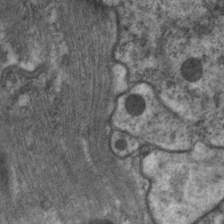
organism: C. elegans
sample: Pharynx